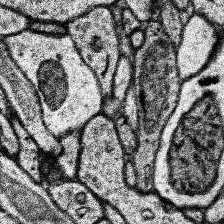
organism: Human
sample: Temporal Lobe